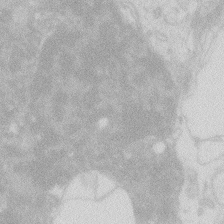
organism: Zebrafish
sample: Macrophage